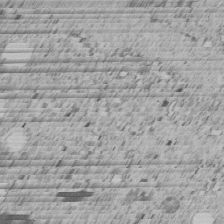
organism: C. elegans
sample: C. elegans embryo early stage